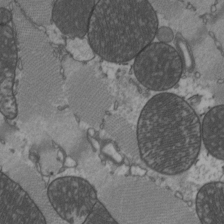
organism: C57BL Mouse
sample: Heart